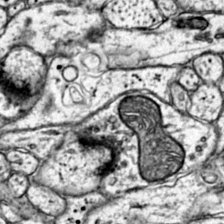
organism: Mouse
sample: Primary visual cortex